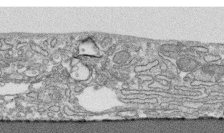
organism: Human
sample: CRL-1474